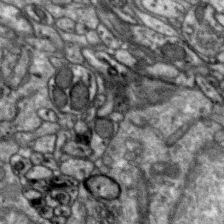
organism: Zebra finch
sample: Brain